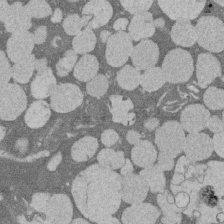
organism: Rat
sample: Salivary granule